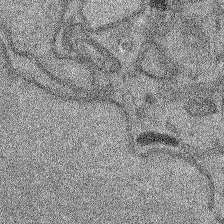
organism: Human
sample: HeLa cells